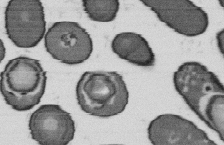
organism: B. subtilis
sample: Bacterial spore